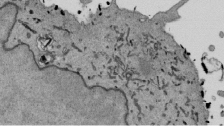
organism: Mouse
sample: ED-1 cell nuclei; centrioles